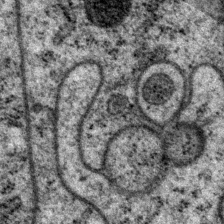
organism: P. pacificus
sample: Pharynx